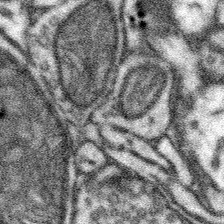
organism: Mouse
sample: Somatosensory cortex neuropil